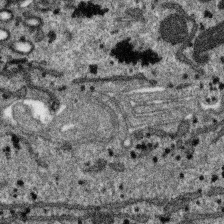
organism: Human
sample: Lung epithelial cells infected with SARS-CoV-2